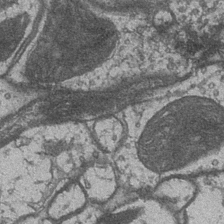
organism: Drosophila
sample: Optic medulla